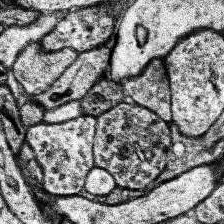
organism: Human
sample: Temporal Lobe